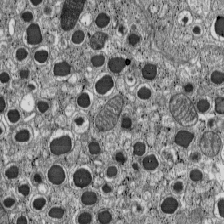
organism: C57BL Mouse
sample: Pancreatic islet